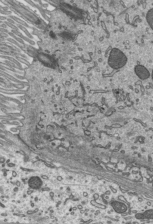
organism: Mouse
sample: Mouse epididymis efferent ductule cilia